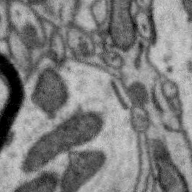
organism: Zebra finch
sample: Brain